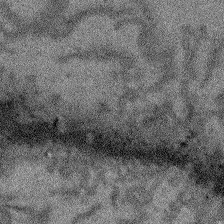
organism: Arabidopsis thaliana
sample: Root tip